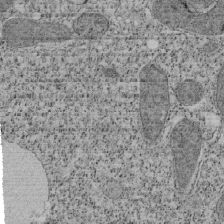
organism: Tetrahymena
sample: Cilia in tetrahymena